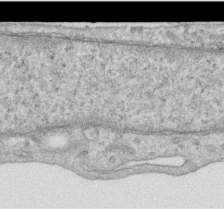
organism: Human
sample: Centriole in RPE cells